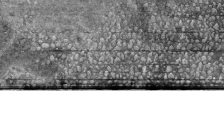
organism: Mouse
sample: Glomerulus